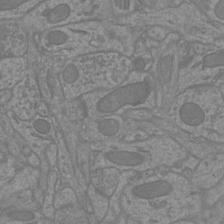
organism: Mouse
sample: Cortical neurons